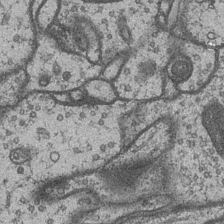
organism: Drosophila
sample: Optic medulla